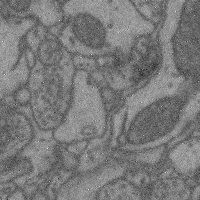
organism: Mouse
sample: Cerebral cortex